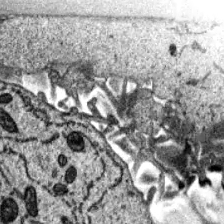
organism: Human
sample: HeLa cells